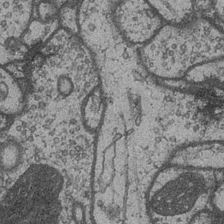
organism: Drosophila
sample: Optic medulla